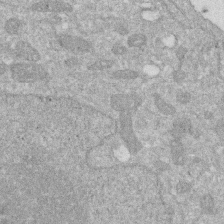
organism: Human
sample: HIV infected U937 cells